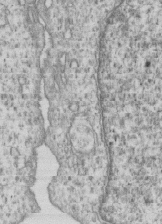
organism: Human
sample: MDA-MB-231 cells